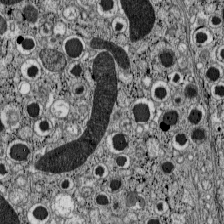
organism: C57BL Mouse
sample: Pancreatic islet